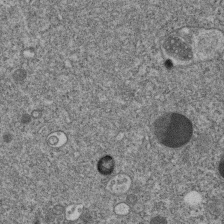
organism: C. elegans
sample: C. elegans embryo early stage